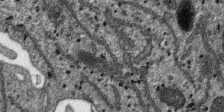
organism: Human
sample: Lung epithelial cells infected with SARS-CoV-2